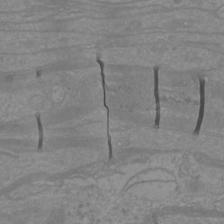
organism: Mouse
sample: Cortical neurons